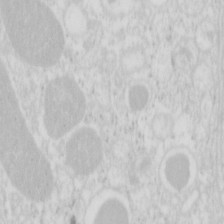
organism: Mouse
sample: Pancreas